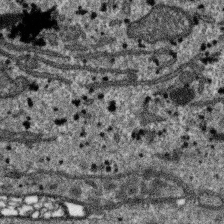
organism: Human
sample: Lung epithelial cells infected with SARS-CoV-2